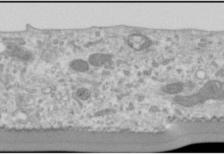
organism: Human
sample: Cilia; basal body in RPE cells